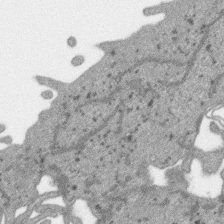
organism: Human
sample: Lung epithelial cells infected with SARS-CoV-2